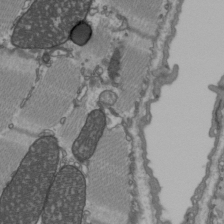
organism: C57BL Mouse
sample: Heart